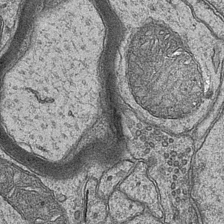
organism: Mouse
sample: CA1 Hippocampus